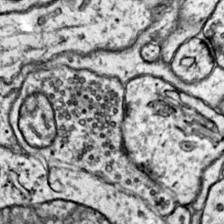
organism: Mouse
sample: Primary visual cortex